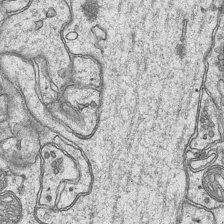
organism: Mouse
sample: CA1 Hippocampus